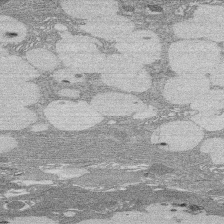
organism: Rat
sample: Salivary granule